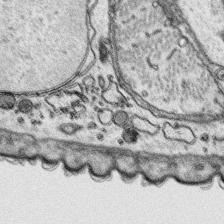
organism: Platynereis dumerilii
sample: Parapodia